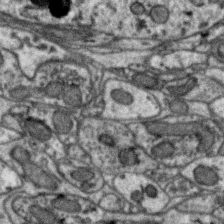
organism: Zebra finch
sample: Brain